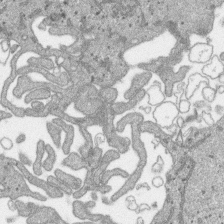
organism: Human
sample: Lung epithelial cells infected with SARS-CoV-2